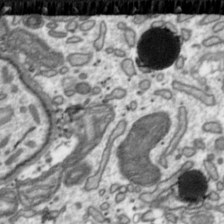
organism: Toxoplasma gondii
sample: Parasites in a vacuole inside a host cell